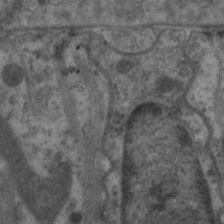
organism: C. elegans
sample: Pharynx